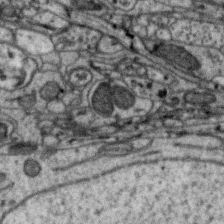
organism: Zebra finch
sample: Brain